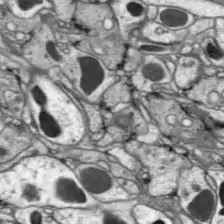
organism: Drosophila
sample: Optic lobe